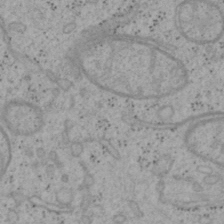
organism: Human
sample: HeLa cells